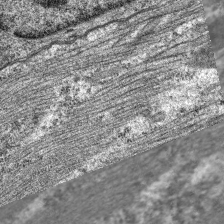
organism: C. elegans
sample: Pharynx